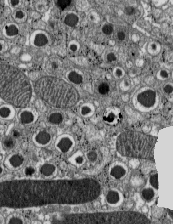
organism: C57BL Mouse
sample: Pancreatic islet